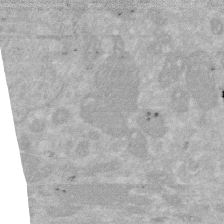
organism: Human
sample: HIV infected U937 cells